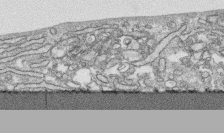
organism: Human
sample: CRL-1474